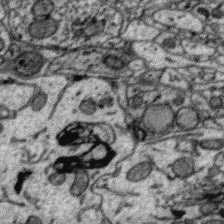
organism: Zebra finch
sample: Brain